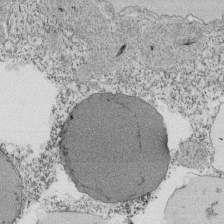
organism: Tetrahymena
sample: Cilia in tetrahymena